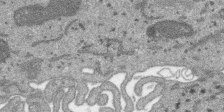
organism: Human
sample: Lung epithelial cells infected with SARS-CoV-2